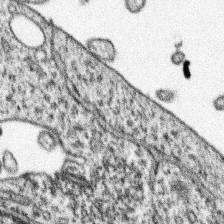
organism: Human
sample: HeLa cells